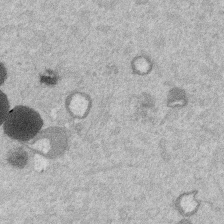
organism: Mouse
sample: Dividing mouse embryo 1 cell stage